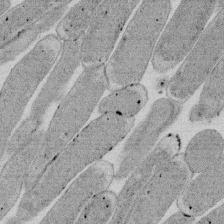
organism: E. coli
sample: Bacterial nucleoid